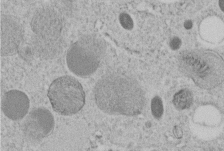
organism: C. elegans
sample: C. elegans embryo early stage